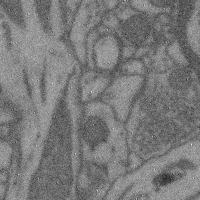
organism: Mouse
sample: Cerebral cortex